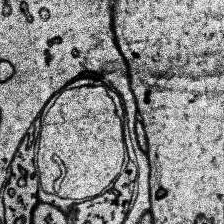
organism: Human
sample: Temporal Lobe